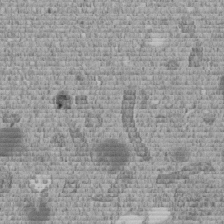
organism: C. elegans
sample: C. elegans embryo early stage